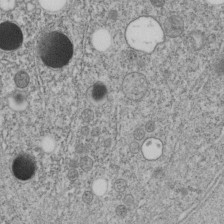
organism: C. elegans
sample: C. elegans embryo early stage